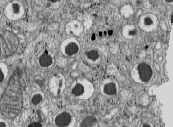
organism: C57BL Mouse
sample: Pancreatic islet